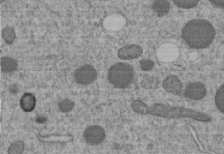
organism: C. elegans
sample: C. elegans embryo early stage